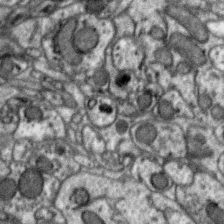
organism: Zebra finch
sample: Brain